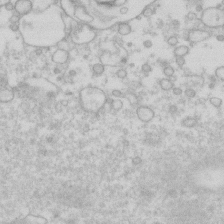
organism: Human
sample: Fibroblast cells